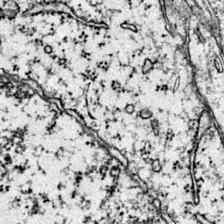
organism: Mouse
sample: Primary visual cortex